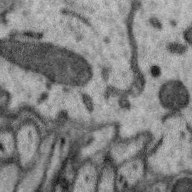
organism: Zebra finch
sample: Brain